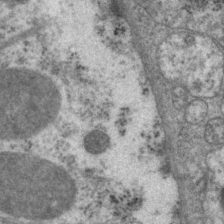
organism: P. pacificus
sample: Pharynx